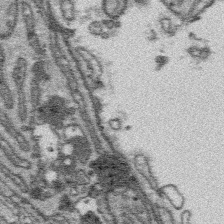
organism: Platynereis dumerilii